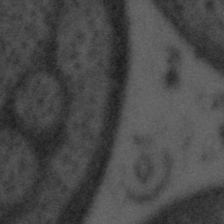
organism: Tuwongella immobilis